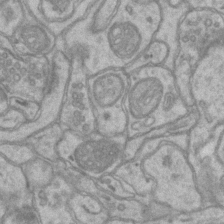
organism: Mouse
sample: CA1 Hippocampus